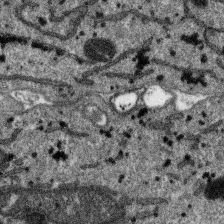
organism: Human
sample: Lung epithelial cells infected with SARS-CoV-2